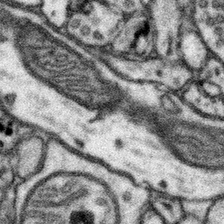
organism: Mouse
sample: Somatosensory cortex neuropil